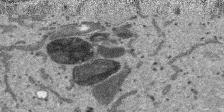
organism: Human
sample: Lung epithelial cells infected with SARS-CoV-2